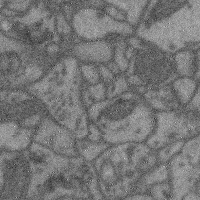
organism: Mouse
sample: Cerebral cortex